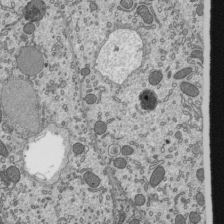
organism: Mouse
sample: Mouse epididymis efferent ductule cilia